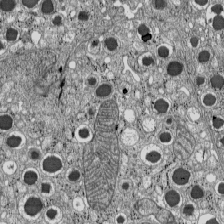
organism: C57BL Mouse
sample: Pancreatic islet